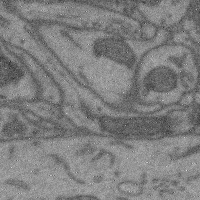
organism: Mouse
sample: Cerebral cortex